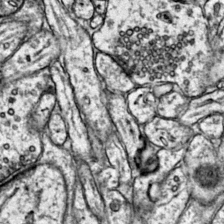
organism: Mouse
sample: Primary visual cortex